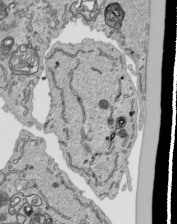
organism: Human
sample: Mitochondria in HCT116 cells